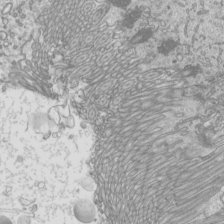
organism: Mouse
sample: Cilia; mouse epididymis